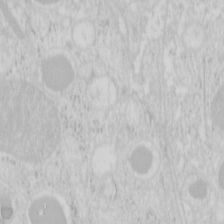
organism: Mouse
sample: Pancreas